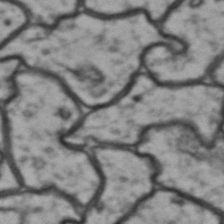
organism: Drosophila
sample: Brain